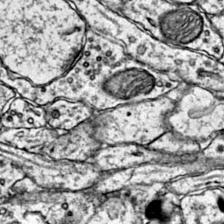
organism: Mouse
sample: Primary visual cortex